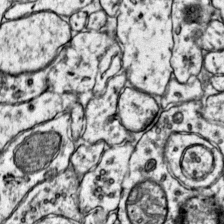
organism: Mouse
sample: Primary visual cortex